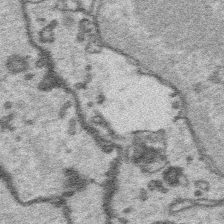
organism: Platynereis dumerilii